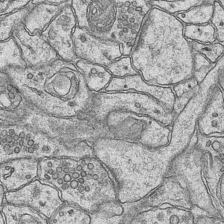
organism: Mouse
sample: CA1 Hippocampus